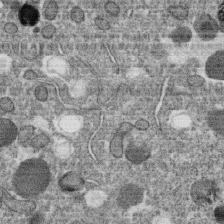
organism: C. elegans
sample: C. elegans oocyte; sperm cells